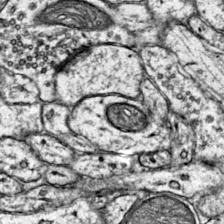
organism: Mouse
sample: Primary visual cortex